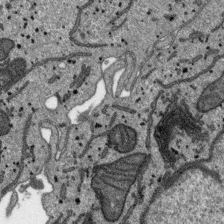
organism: Human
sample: Lung epithelial cells, uninfected (mock) control